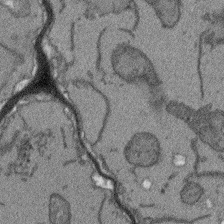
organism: Arabidopsis thaliana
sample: Root tip